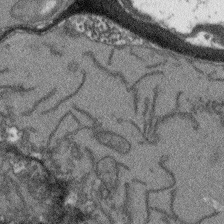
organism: Arabidopsis thaliana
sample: Root tip